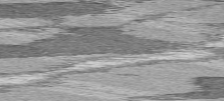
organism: C57BL Mouse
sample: Heart